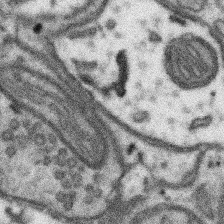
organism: Mouse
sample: Somatosensory cortex neuropil